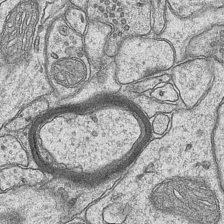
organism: Mouse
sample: CA1 Hippocampus